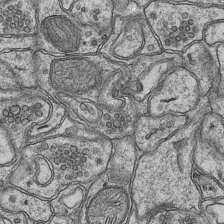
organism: Mouse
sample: CA1 Hippocampus